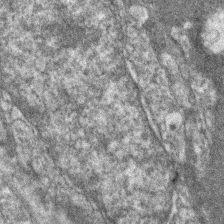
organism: Zebrafish